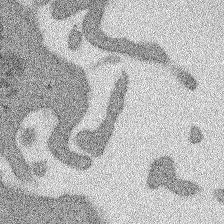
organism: Human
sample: HeLa cells